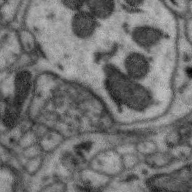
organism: Zebra finch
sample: Brain